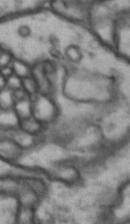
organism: Drosophila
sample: Brain